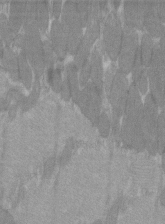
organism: C57BL Mouse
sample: Tibialis anterior muscle cell